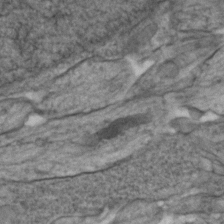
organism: Zebrafish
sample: Zebrafish embryo